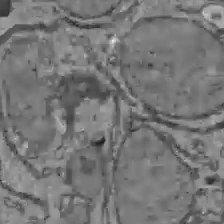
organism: C57BL Mouse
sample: Liver